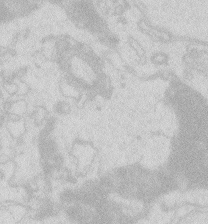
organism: Zebrafish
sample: Macrophage